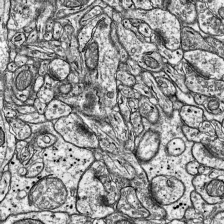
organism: Mouse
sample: Visual Cortex